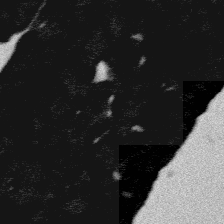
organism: Platynereis dumerilii